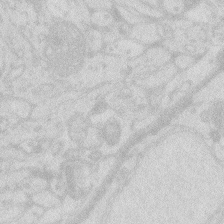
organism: Zebrafish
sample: Macrophage